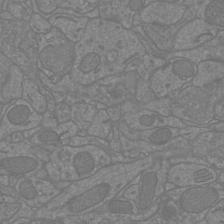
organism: Mouse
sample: Cortical neurons